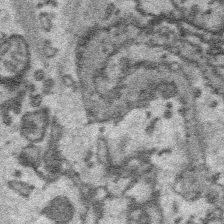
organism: Platynereis dumerilii